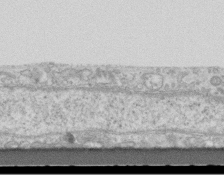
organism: Mouse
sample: Centriole in ependymal cells